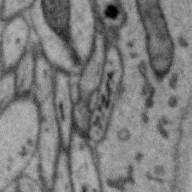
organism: Zebra finch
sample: Brain